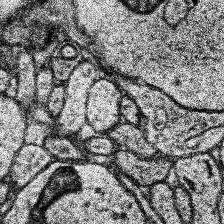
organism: Human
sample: Temporal Lobe